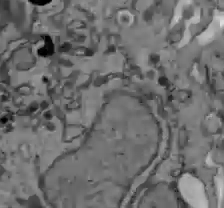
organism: C57BL Mouse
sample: Liver